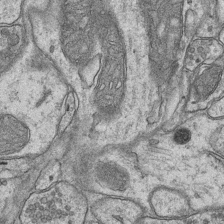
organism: Mouse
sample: CA1 Hippocampus